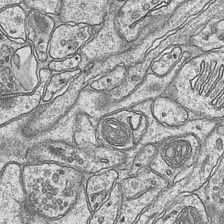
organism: Mouse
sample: CA1 Hippocampus